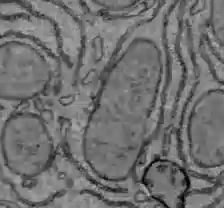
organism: C57BL Mouse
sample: Liver